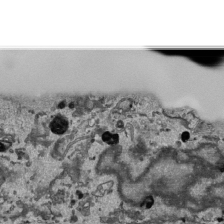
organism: Human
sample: Mitochondria in HCT116 cells